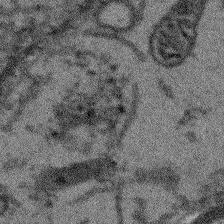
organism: Arabidopsis thaliana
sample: Root tip